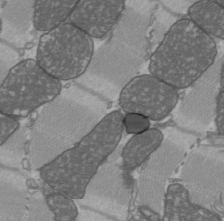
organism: C57BL Mouse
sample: Heart